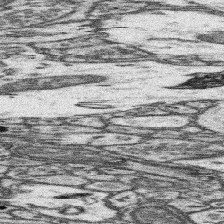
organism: Mouse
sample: Somatosensory cortex neuropil